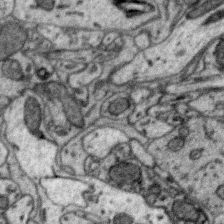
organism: Zebra finch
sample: Brain